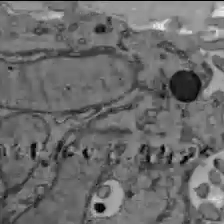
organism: C57BL Mouse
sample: Liver